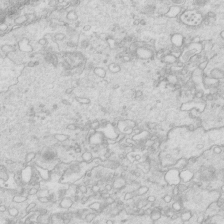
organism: Mouse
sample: Multiciliated cells